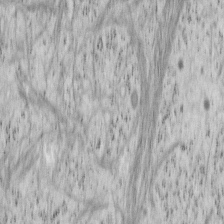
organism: Human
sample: HeLa cells